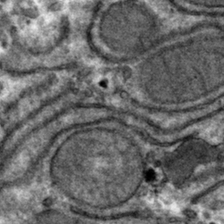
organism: Mouse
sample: Mouse hepatocytes